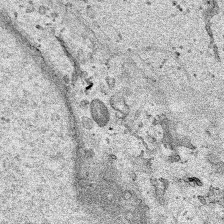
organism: Human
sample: Mitochondria in HCT116 cells